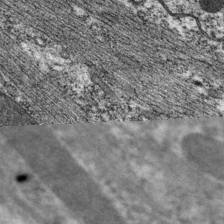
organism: C. elegans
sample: Pharynx